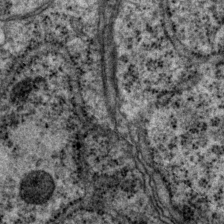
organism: P. pacificus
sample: Pharynx